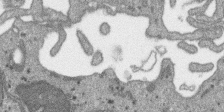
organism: Human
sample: Lung epithelial cells infected with SARS-CoV-2